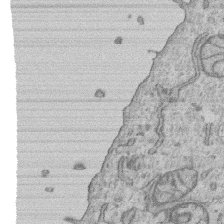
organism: Human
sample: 1205lu cells